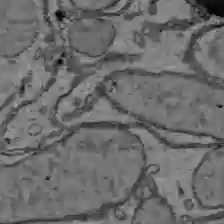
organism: C57BL Mouse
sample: Liver